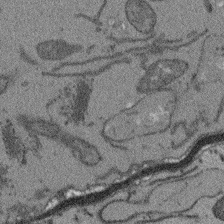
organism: Arabidopsis thaliana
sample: Root tip